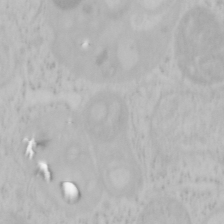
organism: Mouse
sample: OT-I killer T cells with ID8 ovarian cancer cells